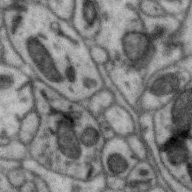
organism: Zebra finch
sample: Brain